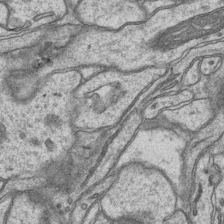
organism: Mouse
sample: CA1 Hippocampus